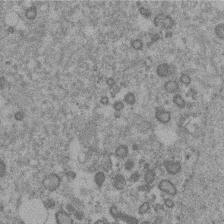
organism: Mouse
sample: Dividing mouse embryo 1 cell stage